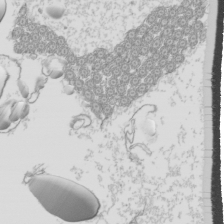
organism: Mouse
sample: Cilia; mouse epididymis